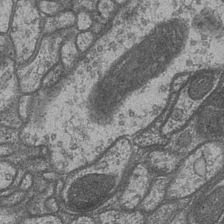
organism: Drosophila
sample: Optic medulla